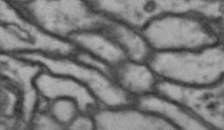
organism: Drosophila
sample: Brain